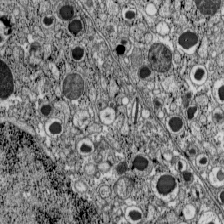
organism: C57BL Mouse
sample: Pancreatic islet